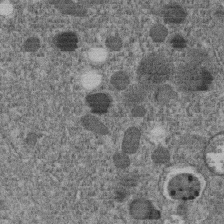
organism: C. elegans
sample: C. elegans embryo early stage